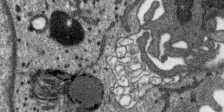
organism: Human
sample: Lung epithelial cells infected with SARS-CoV-2